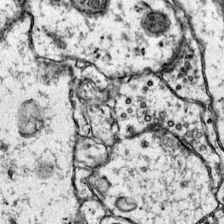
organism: Mouse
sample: Primary visual cortex